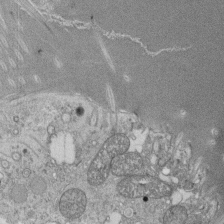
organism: Tetrahymena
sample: Cilia in tetrahymena